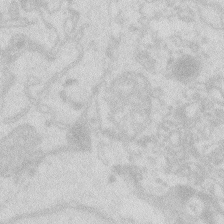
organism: Zebrafish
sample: Macrophage